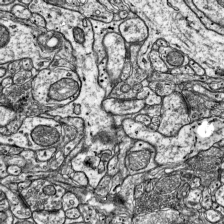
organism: Mouse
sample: Visual Cortex